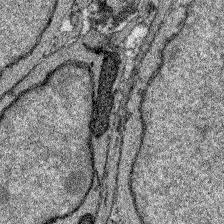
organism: Zebrafish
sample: Larval olfactory bulb